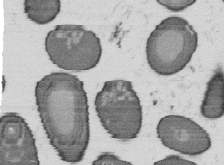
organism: B. subtilis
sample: Bacterial spore